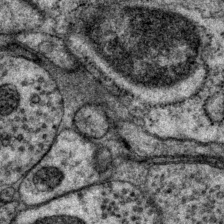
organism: P. pacificus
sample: Pharynx